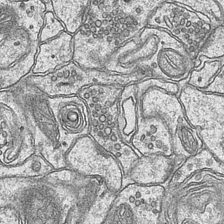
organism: Mouse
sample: CA1 Hippocampus